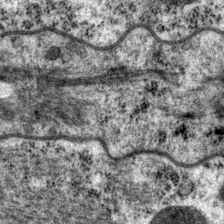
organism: P. pacificus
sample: Pharynx